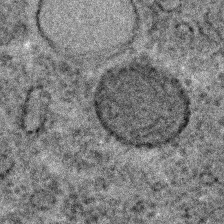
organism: C. elegans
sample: C. elegans embryo